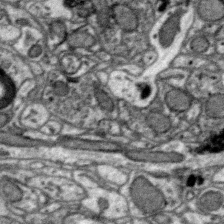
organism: Zebra finch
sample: Brain